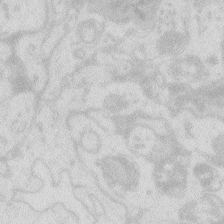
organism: Zebrafish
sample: Macrophage